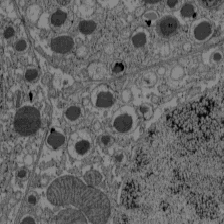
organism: C57BL Mouse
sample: Pancreatic islet